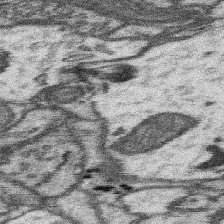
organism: Mouse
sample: Somatosensory cortex neuropil